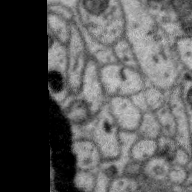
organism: Zebra finch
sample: Brain